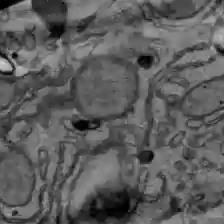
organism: C57BL Mouse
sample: Liver